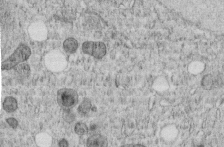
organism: C. elegans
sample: C. elegans embryo early stage